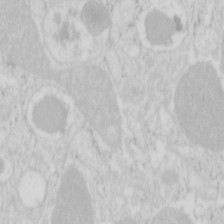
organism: Mouse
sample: Pancreas